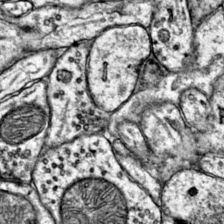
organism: Mouse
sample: Primary visual cortex